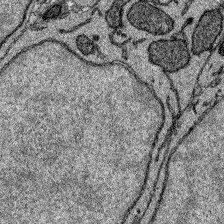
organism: Zebrafish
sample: Larval olfactory bulb